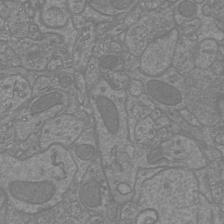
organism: Mouse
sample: Cortical neurons